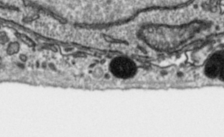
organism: Toxoplasma gondii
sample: Parasites in a vacuole inside a host cell